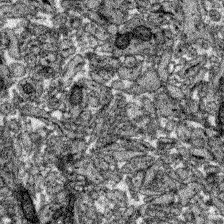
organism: Zebrafish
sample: Larval olfactory bulb